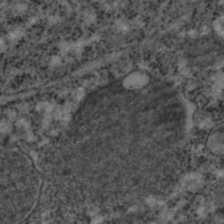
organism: C. elegans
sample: C. elegans embryo